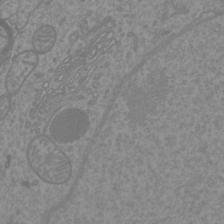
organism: Mouse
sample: Cortical neurons